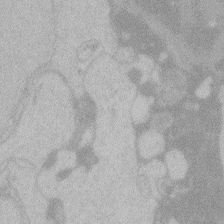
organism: Zebrafish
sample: Macrophage infected with Toxoplasma gondii